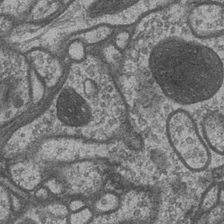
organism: Drosophila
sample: Optic medulla